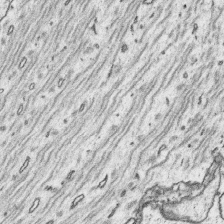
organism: Platynereis dumerilii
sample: Parapodia